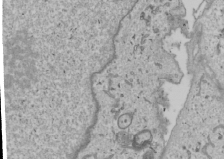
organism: Human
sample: Mitochondria in U2OS cells